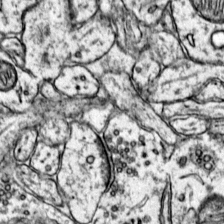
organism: Mouse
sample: Primary visual cortex